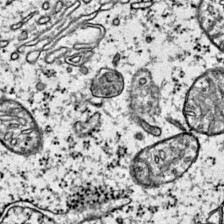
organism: Mouse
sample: Primary visual cortex